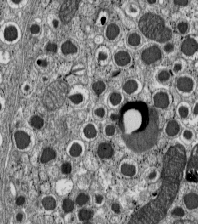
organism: C57BL Mouse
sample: Pancreatic islet